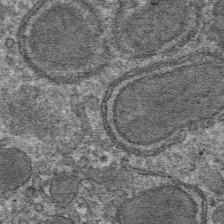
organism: Mouse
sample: Mouse hepatocytes